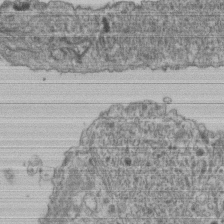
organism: Human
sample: Retinal organoid Rod and Cone cells